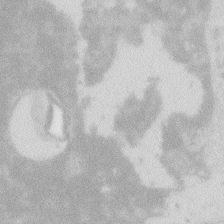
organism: Zebrafish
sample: Macrophage